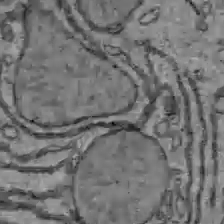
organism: C57BL Mouse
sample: Liver